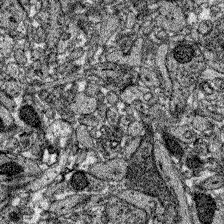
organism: Zebrafish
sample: Larval olfactory bulb